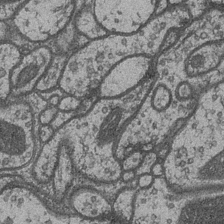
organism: Drosophila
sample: Optic medulla